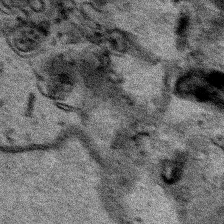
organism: Human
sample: Mitochondria in HCT116 cells